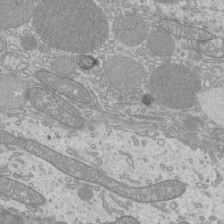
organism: Mouse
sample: Cilia; mouse epididymis